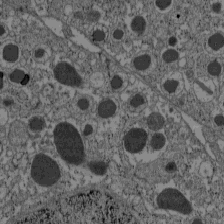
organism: C57BL Mouse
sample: Pancreatic islet